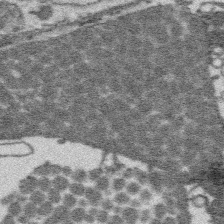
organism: Platynereis dumerilii